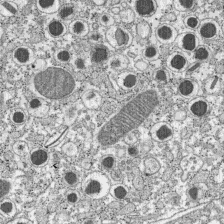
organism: C57BL Mouse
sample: Pancreatic islet